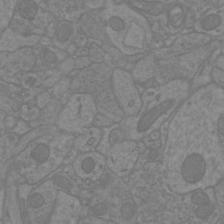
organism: Mouse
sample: Cortical neurons